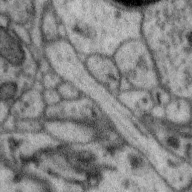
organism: Zebra finch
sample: Brain